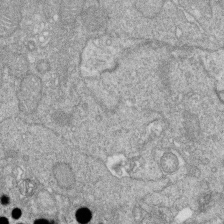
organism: Zebrafish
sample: Cilia; retinal pigment epithelium